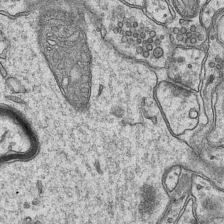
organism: Mouse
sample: CA1 Hippocampus